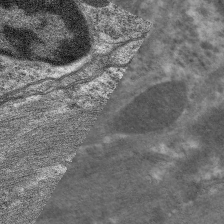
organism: C. elegans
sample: Pharynx